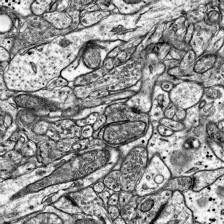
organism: Mouse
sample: Visual Cortex